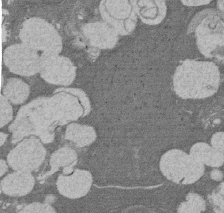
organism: Rat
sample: Salivary granule